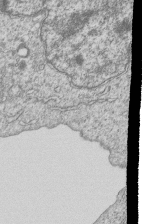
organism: Human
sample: MDA-MB-231 cells